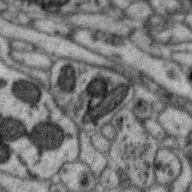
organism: Zebra finch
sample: Brain